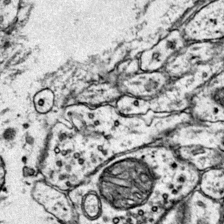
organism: Mouse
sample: Primary visual cortex